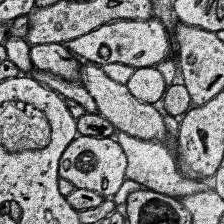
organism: Human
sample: Temporal Lobe